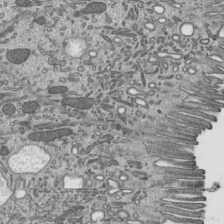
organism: Mouse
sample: Mouse epididymis efferent ductule cilia